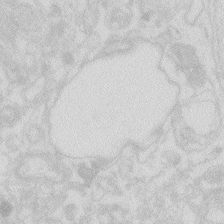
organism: Zebrafish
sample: Macrophage